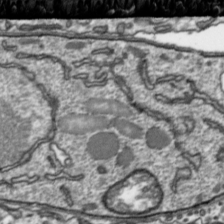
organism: Toxoplasma gondii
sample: Parasites in a vacuole inside a host cell